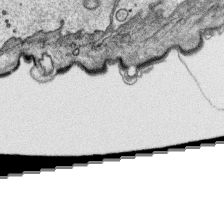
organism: Platynereis dumerilii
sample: Parapodia